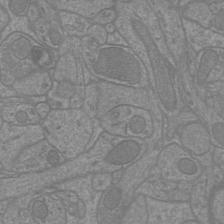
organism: Mouse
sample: Cortical neurons